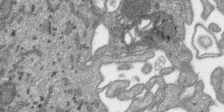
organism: Human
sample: Lung epithelial cells infected with SARS-CoV-2